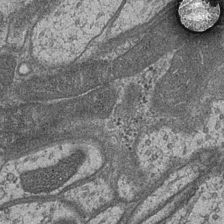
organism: Drosophila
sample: Optic medulla